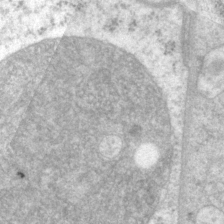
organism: P. pacificus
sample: Pharynx